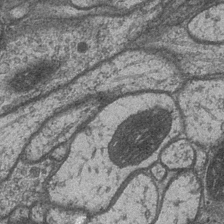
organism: Drosophila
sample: Optic medulla